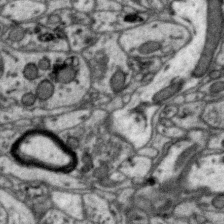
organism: Zebra finch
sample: Brain